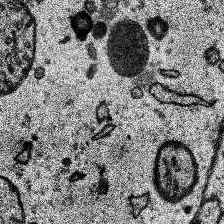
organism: Human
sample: Temporal Lobe